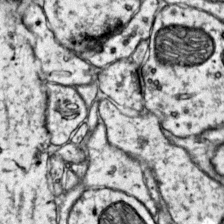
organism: Mouse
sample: Primary visual cortex